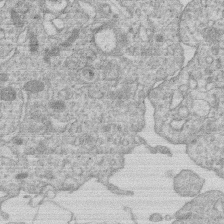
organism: Human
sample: Macrophage cells